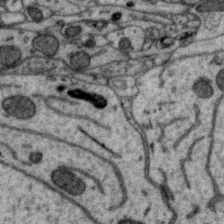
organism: Zebra finch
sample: Brain